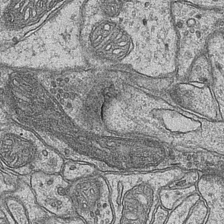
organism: Mouse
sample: CA1 Hippocampus